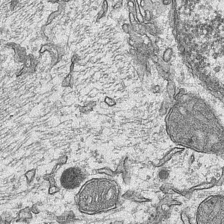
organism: Mouse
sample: CA1 Hippocampus